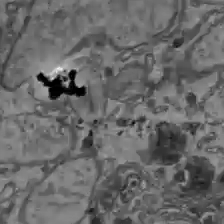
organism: C57BL Mouse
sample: Liver